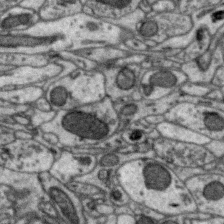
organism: Zebra finch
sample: Brain